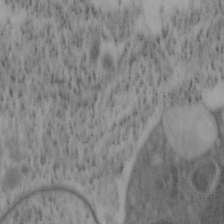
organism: Mouse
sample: OT-I killer T cells with ID8 ovarian cancer cells